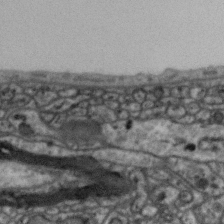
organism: Zebra finch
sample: Brain